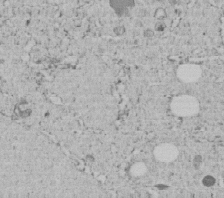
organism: C. elegans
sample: C. elegans embryo early stage